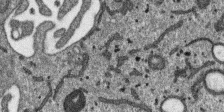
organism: Human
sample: Lung epithelial cells infected with SARS-CoV-2